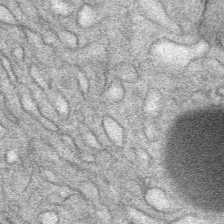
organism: Mouse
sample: Mouse Salivary gland